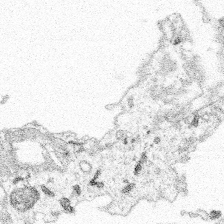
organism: Spongilla lacustris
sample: Multiple